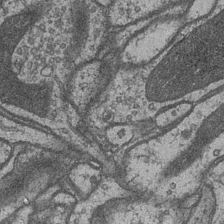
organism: Drosophila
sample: Optic medulla